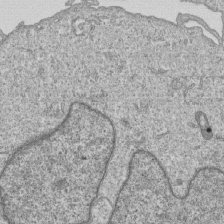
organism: Human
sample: MDA-MB-231 cells